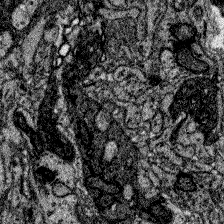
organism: Zebrafish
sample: Larval olfactory bulb